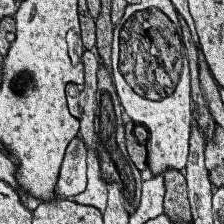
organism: Human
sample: Temporal Lobe